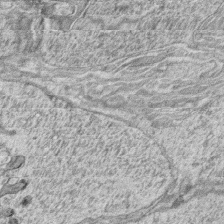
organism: Zebrafish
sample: synaptic ribbons in rod cells and cone cells